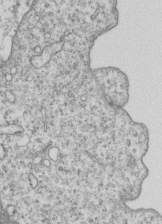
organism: Human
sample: MDA-MB-231 cells